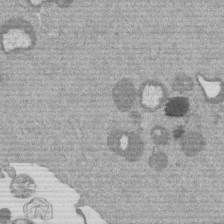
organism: Mouse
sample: Dividing mouse embryo 1 cell stage